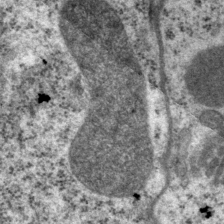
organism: P. pacificus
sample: Pharynx